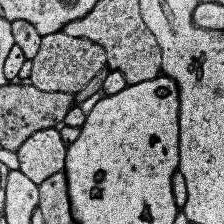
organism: Human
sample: Temporal Lobe